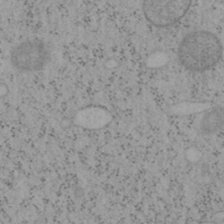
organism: Mouse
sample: OT-I killer T cells with ID8 ovarian cancer cells